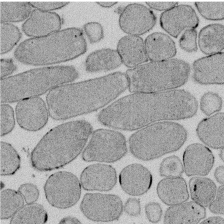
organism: E. coli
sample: Bacterial nucleoid